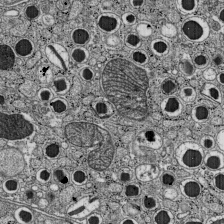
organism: C57BL Mouse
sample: Pancreatic islet